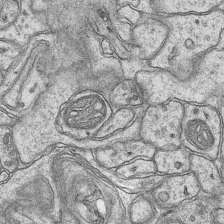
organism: Mouse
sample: CA1 Hippocampus